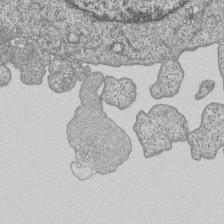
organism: Human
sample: MDA-MB-231 cells